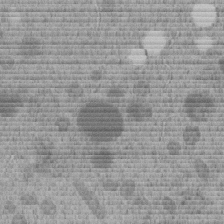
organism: C. elegans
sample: C. elegans embryo early stage